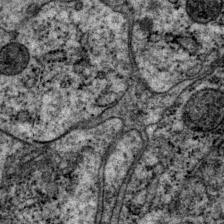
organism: P. pacificus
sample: Pharynx